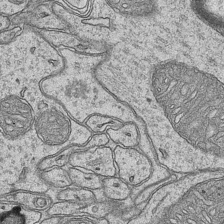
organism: Mouse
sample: CA1 Hippocampus